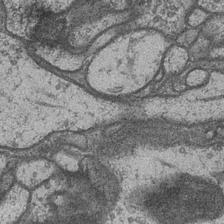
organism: Drosophila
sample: Optic medulla